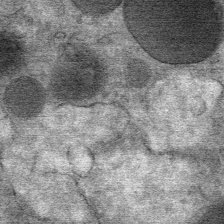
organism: Mouse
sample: Mouse Salivary gland